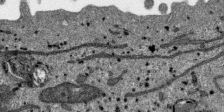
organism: Human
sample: Lung epithelial cells, uninfected (mock) control